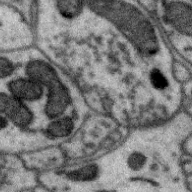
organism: Zebra finch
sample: Brain